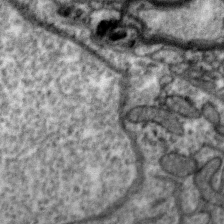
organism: Zebra finch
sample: Brain